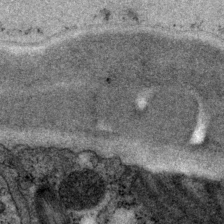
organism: P. pacificus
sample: Pharynx